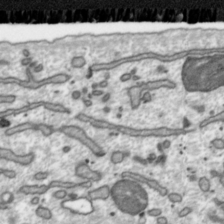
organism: Toxoplasma gondii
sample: Parasites in a vacuole inside a host cell